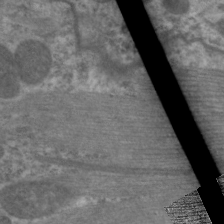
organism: C. elegans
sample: Pharynx